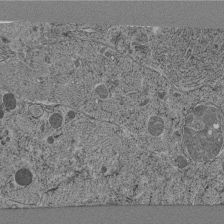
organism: C. elegans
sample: C. elegans pharynx